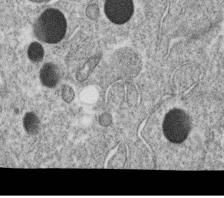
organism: C. elegans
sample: C. elegans oocyte; sperm cells